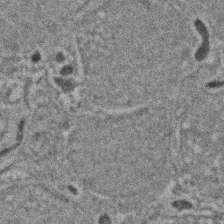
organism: Zebrafish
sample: Zebrafish embryo